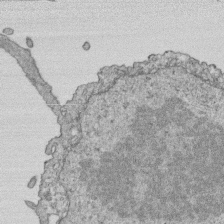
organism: Human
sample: HeLa cell HIV synapse